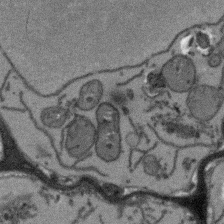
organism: Arabidopsis thaliana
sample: Root tip